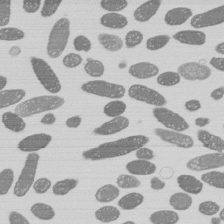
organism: E. coli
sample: Bacterial nucleoid